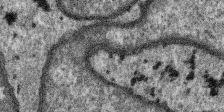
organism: Human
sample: Lung epithelial cells infected with SARS-CoV-2